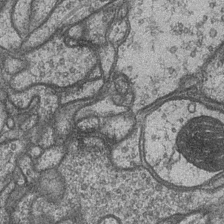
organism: Drosophila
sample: Optic medulla